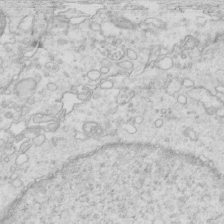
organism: Mouse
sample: Multiciliated cells